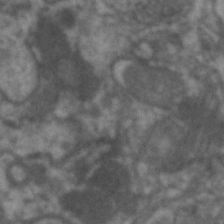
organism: C. elegans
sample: Pharynx